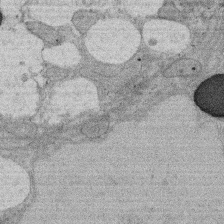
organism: Rat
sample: Salivary granule